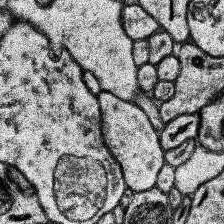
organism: Human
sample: Temporal Lobe